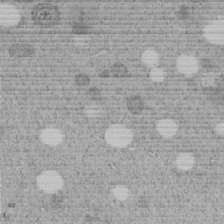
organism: C. elegans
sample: C. elegans embryo early stage